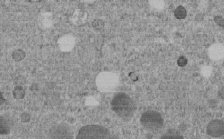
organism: C. elegans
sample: C. elegans embryo early stage